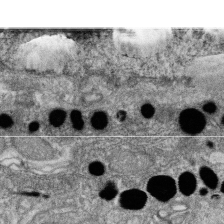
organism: Zebrafish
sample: Cilia; retinal pigment epithelium